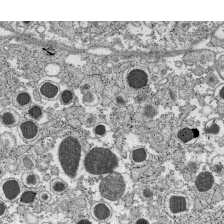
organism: C57BL Mouse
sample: Pancreatic islet